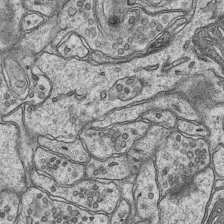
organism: Mouse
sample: CA1 Hippocampus